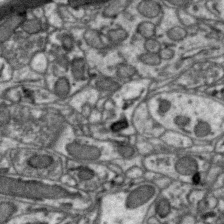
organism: Zebra finch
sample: Brain